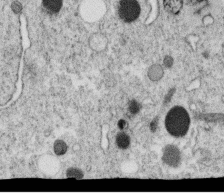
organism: C. elegans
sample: C. elegans oocyte; sperm cells